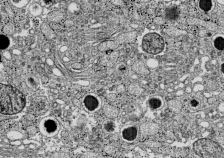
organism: C57BL Mouse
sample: Pancreatic islet